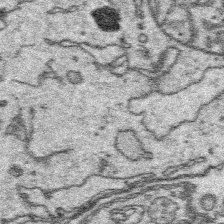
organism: Platynereis dumerilii